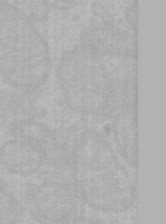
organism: Mouse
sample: Choroid plexus